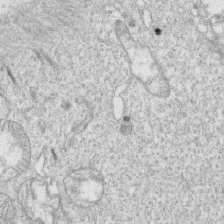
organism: Human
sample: HeLa cell HIV synapse